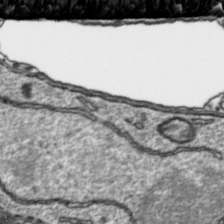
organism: Toxoplasma gondii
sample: Parasites in a vacuole inside a host cell